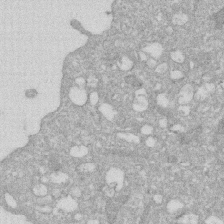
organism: Human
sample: HIV infected U937 cells